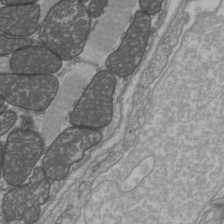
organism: C57BL Mouse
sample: Heart